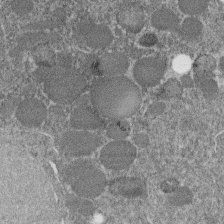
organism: C. elegans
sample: C. elegans embryo early stage